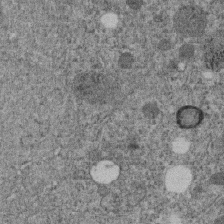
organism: C. elegans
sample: C. elegans embryo early stage